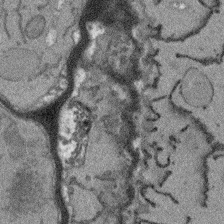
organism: Arabidopsis thaliana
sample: Root tip